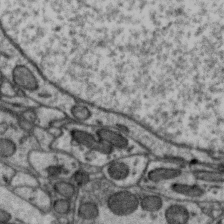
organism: Zebra finch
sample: Brain